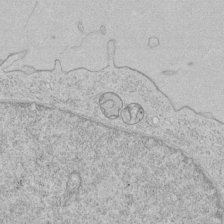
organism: Human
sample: Mitochondria in HCT116 cells